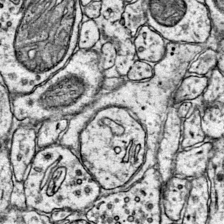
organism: Mouse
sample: Primary visual cortex